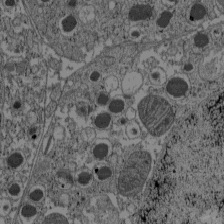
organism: C57BL Mouse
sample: Pancreatic islet